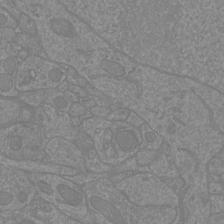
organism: Mouse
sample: Cortical neurons